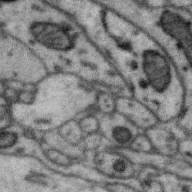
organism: Zebra finch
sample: Brain